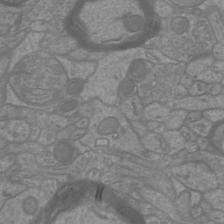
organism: Mouse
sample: Cortical neurons